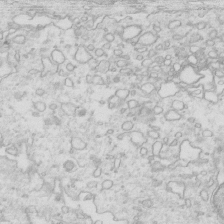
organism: Mouse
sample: Multiciliated cells